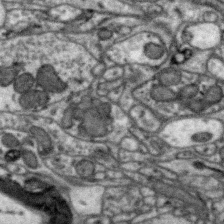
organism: Zebra finch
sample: Brain